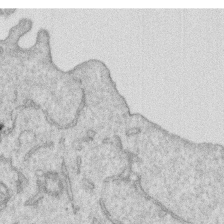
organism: Human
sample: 1205lu cells